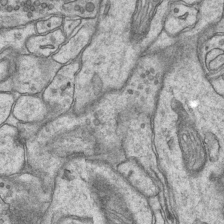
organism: Mouse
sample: CA1 Hippocampus